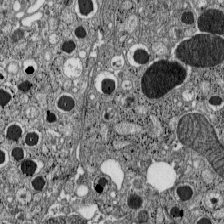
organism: C57BL Mouse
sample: Pancreatic islet